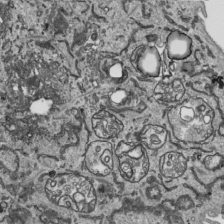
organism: Human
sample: Mitochondria in HCT116 cells